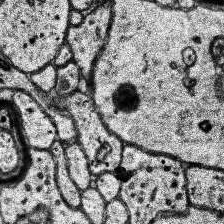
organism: Human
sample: Temporal Lobe